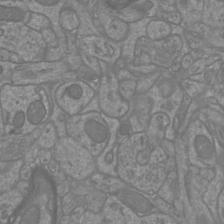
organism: Mouse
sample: Cortical neurons